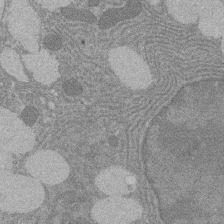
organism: Rat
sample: Salivary granule